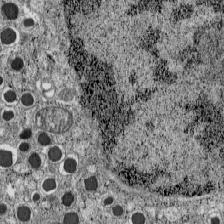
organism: C57BL Mouse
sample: Pancreatic islet